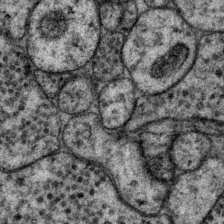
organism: P. pacificus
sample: Pharynx